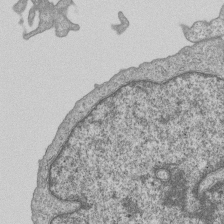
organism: Human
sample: MDA-MB-231 cells